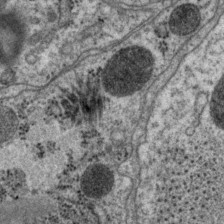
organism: P. pacificus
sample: Pharynx